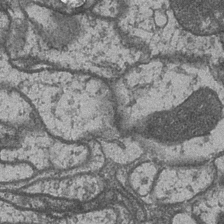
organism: Drosophila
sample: Optic medulla